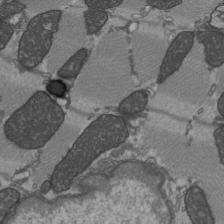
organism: C57BL Mouse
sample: Heart